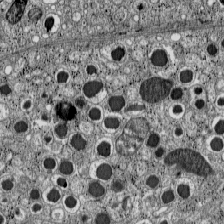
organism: C57BL Mouse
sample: Pancreatic islet